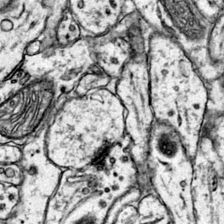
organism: Mouse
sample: Primary visual cortex